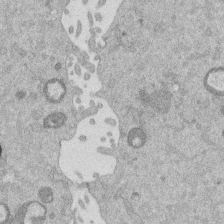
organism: Mouse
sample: Dividing mouse embryo 1 cell stage